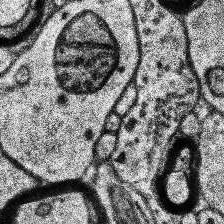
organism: Human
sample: Temporal Lobe